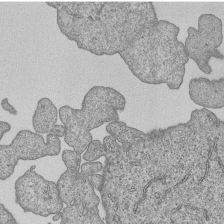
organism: Human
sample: MDA-MB-231 cells